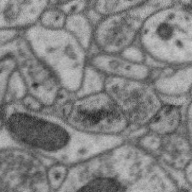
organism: Zebra finch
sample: Brain